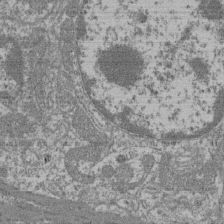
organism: Mouse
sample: Glomerulus